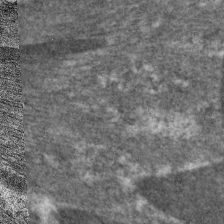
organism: C. elegans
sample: Pharynx